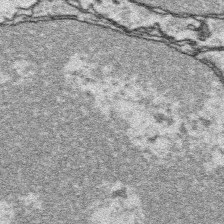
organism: Platynereis dumerilii